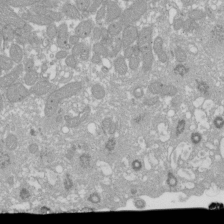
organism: Xenopus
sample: Cilia; centrioles in frog embryo cells